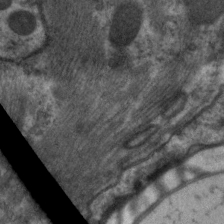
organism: C. elegans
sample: Pharynx